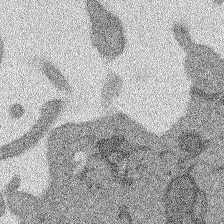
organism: Human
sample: HeLa cells